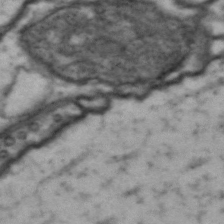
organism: Drosophila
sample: Brain